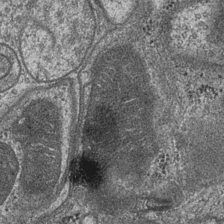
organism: Drosophila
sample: Optic medulla